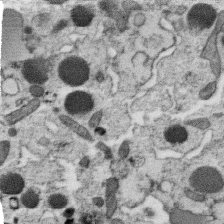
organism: C. elegans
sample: C. elegans oocyte; sperm cells